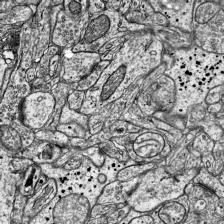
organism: Mouse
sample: Visual Cortex